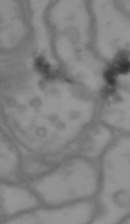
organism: Drosophila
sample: Brain